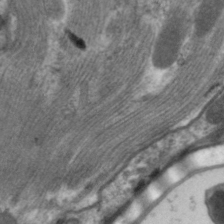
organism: C. elegans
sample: Pharynx